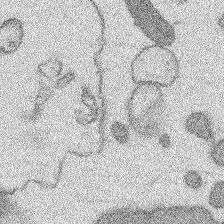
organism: Human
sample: HeLa cells